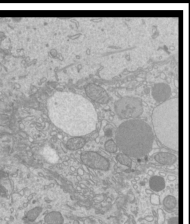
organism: Mouse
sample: Cilia; mouse epididymis